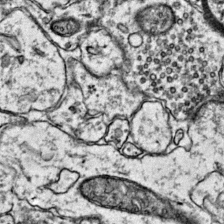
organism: Mouse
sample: Primary visual cortex